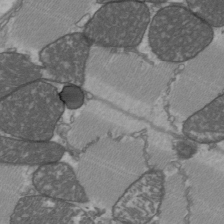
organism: C57BL Mouse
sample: Heart